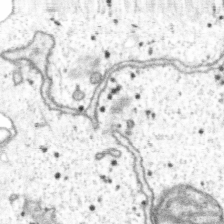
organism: Human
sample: HeLa cells